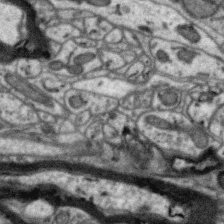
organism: Zebra finch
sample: Brain